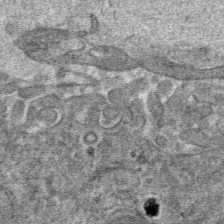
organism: Mouse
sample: Mouse hepatocytes